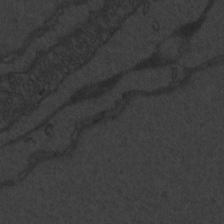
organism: Zebrafish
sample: Macrophage infected with Toxoplasma gondii